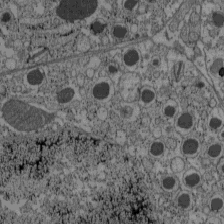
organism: C57BL Mouse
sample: Pancreatic islet